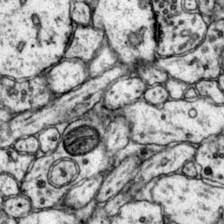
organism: Mouse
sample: Primary visual cortex